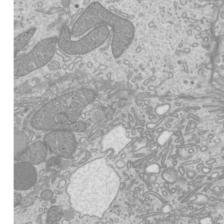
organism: Mouse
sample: Cilia; mouse epididymis